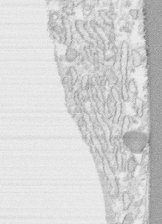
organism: Human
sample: CRL-1474